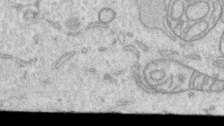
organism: Human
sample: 1205lu cells